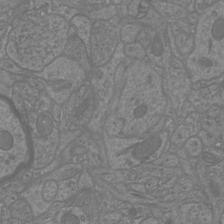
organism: Mouse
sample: Cortical neurons